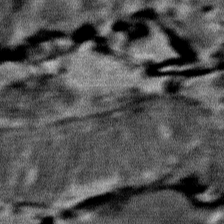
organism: Mouse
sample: Mouse Salivary gland